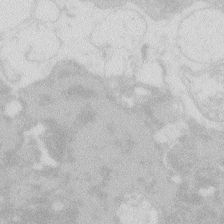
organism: Zebrafish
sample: Macrophage